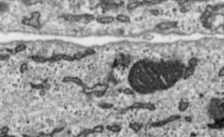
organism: Toxoplasma gondii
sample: Parasites in a vacuole inside a host cell